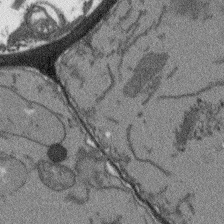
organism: Arabidopsis thaliana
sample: Root tip